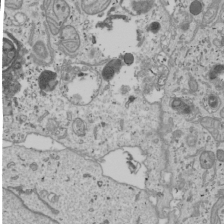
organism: Human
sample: Mitochondria in U2OS cells